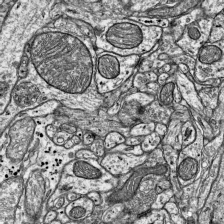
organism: Mouse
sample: Visual Cortex